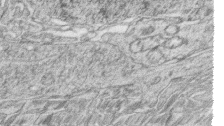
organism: Zebrafish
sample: synaptic ribbons in rod cells and cone cells